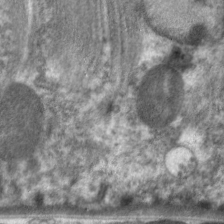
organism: C. elegans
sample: Pharynx